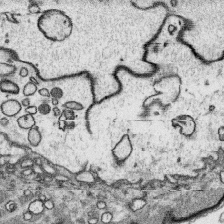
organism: Platynereis dumerilii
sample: Parapodia